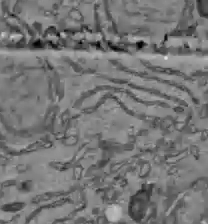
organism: C57BL Mouse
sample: Liver